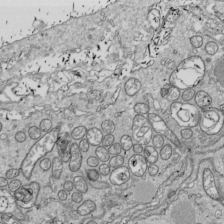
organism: Drosophila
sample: Cell division; meiosis; drosophila spermatocytes